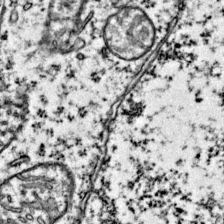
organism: Mouse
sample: Primary visual cortex